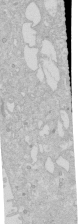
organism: Human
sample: Caco-2 cells